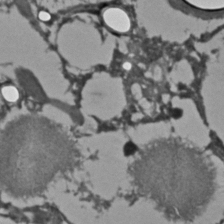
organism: C. elegans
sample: C. elegans embryo